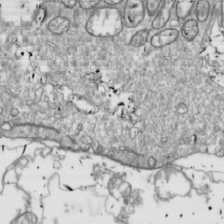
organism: Drosophila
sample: Cell division; meiosis; drosophila spermatocytes